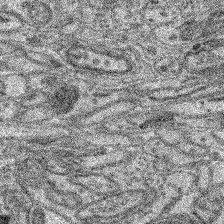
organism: Mouse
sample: Retina